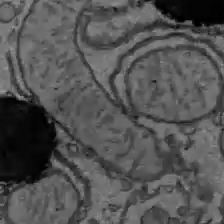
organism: C57BL Mouse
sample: Liver